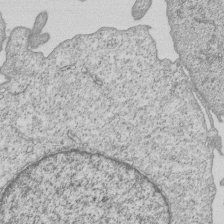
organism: Human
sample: MDA-MB-231 cells